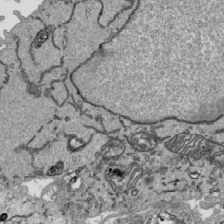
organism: Human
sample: Mitochondria in HCT116 cells